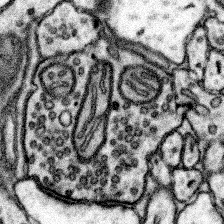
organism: Mouse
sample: Somatosensory cortex neuropil